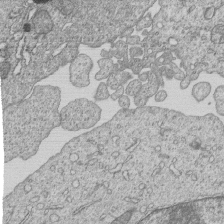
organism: Human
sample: MDA-MB-231 cells